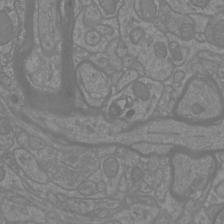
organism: Mouse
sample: Cortical neurons